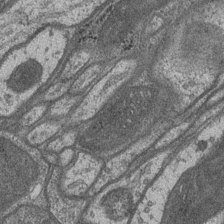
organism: Drosophila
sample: Optic medulla